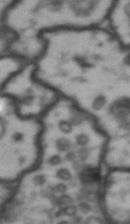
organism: Drosophila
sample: Brain